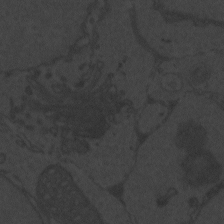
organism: Zebrafish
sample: Macrophage infected with Toxoplasma gondii